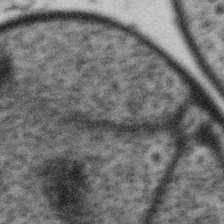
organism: Gemmata obscuriglobus